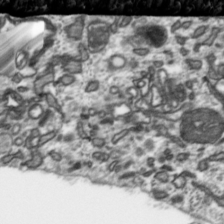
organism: Toxoplasma gondii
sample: Parasites in a vacuole inside a host cell